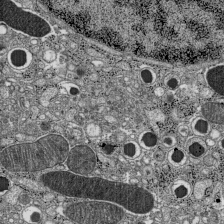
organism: C57BL Mouse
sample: Pancreatic islet